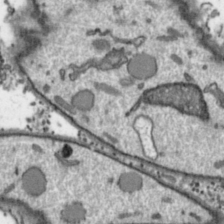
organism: Toxoplasma gondii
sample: Parasites in a vacuole inside a host cell